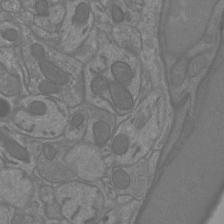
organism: Mouse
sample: Cortical neurons